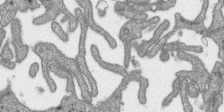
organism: Human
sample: Lung epithelial cells infected with SARS-CoV-2